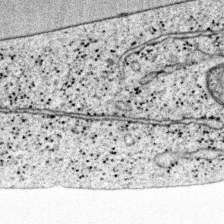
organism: Human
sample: HeLa cells